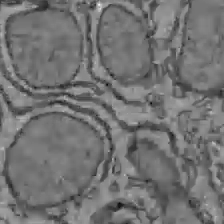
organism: C57BL Mouse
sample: Liver